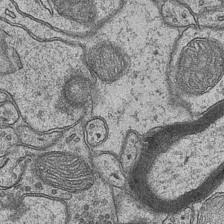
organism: Mouse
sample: CA1 Hippocampus